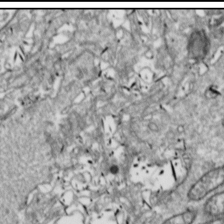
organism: Drosophila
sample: Cell division; meiosis; drosophila spermatocytes